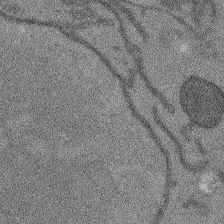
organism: Arabidopsis thaliana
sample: Root tip